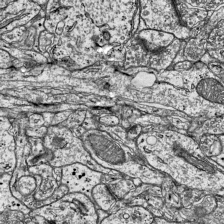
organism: Mouse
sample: Visual Cortex